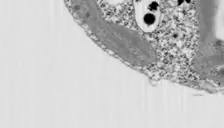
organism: Chlamydomonas reinhardtii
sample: Whole Cell